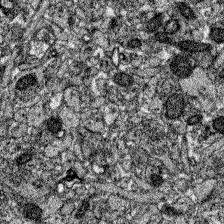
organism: Zebrafish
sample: Larval olfactory bulb